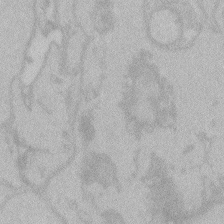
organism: Zebrafish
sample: Macrophage infected with Toxoplasma gondii